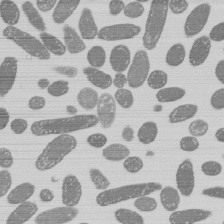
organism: E. coli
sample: Bacterial nucleoid